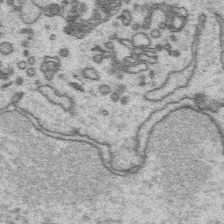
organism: Platynereis dumerilii